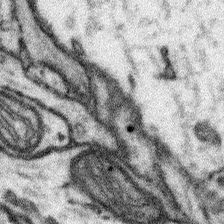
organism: Mouse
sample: Somatosensory cortex neuropil